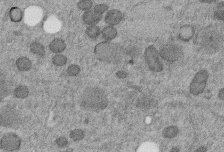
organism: C. elegans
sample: C. elegans embryo early stage